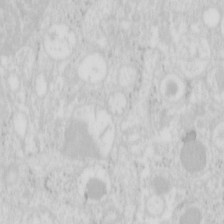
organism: Mouse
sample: Pancreas